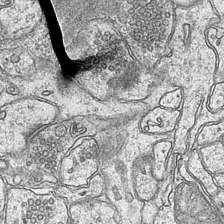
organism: Mouse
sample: CA1 Hippocampus